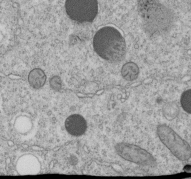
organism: C. elegans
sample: C. elegans embryo early stage